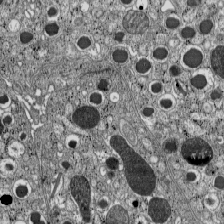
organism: C57BL Mouse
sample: Pancreatic islet